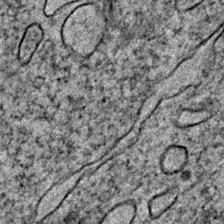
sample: Trachea